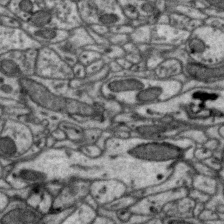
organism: Zebra finch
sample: Brain